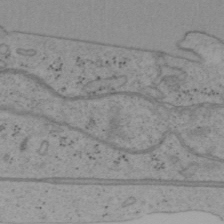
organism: Human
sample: HeLa cells